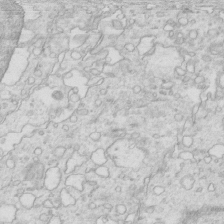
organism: Mouse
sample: Multiciliated cells